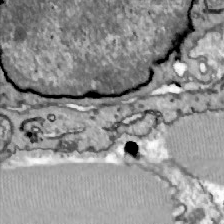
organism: Zebrafish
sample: Actinotrichia fibers